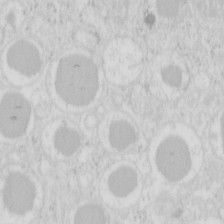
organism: Mouse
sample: Pancreas